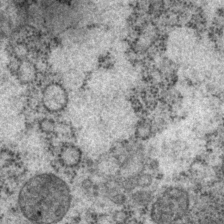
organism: P. pacificus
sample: Pharynx